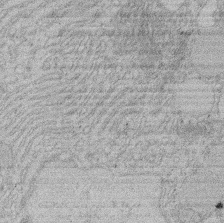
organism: Rat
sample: Salivary granule